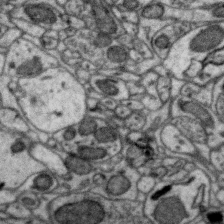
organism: Zebra finch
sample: Brain